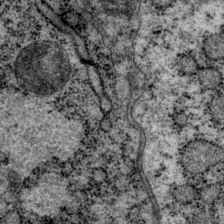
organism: P. pacificus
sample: Pharynx